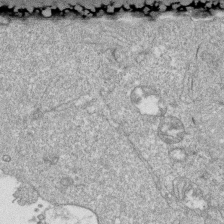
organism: Human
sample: HeLa cell HIV synapse